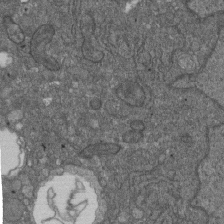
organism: Drosophila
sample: Nephrocyte